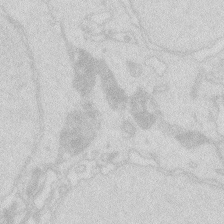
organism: Zebrafish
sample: Macrophage